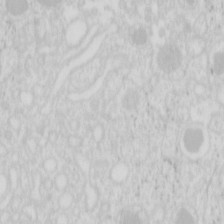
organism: Mouse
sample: Pancreas